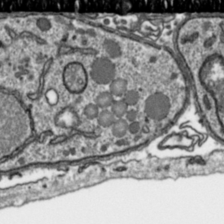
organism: Toxoplasma gondii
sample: Parasites in a vacuole inside a host cell